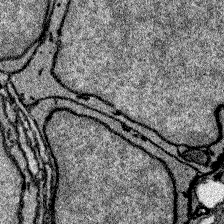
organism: Zebrafish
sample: Larval olfactory bulb